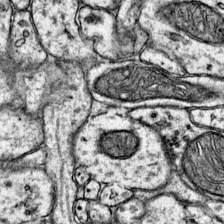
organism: Mouse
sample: Primary visual cortex